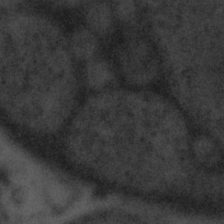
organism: Tuwongella immobilis